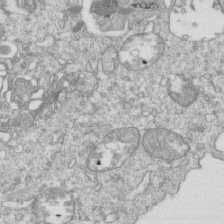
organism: Mouse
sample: Activated OT-1 CD8+ T cells